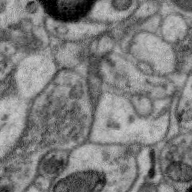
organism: Zebra finch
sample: Brain